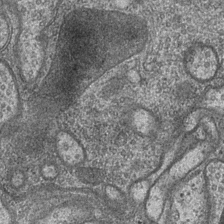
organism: Drosophila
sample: Optic medulla